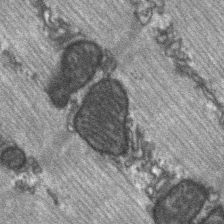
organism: C57BL Mouse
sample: Soleus